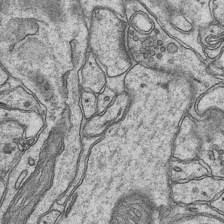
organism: Mouse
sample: CA1 Hippocampus